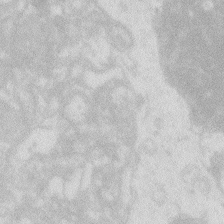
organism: Zebrafish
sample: Macrophage